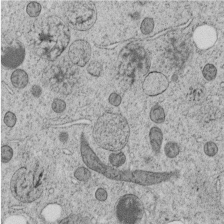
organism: C. elegans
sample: C. elegans embryo early stage